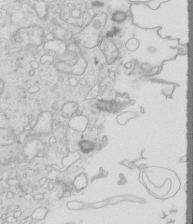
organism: Mouse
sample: Multiciliated cells